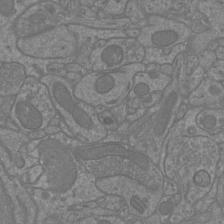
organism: Mouse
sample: Cortical neurons